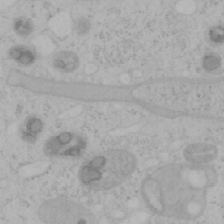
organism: Mouse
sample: OT-I killer T cells with ID8 ovarian cancer cells